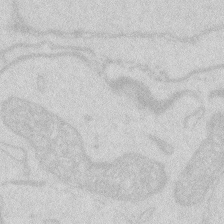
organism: Zebrafish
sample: Macrophage